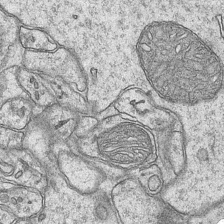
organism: Mouse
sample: CA1 Hippocampus